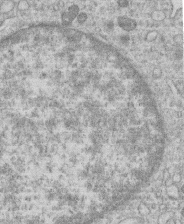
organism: Human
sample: Macrophage cells